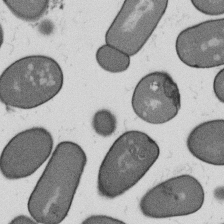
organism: B. subtilis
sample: Bacterial spore